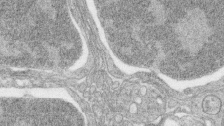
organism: Zebrafish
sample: synaptic ribbons in rod cells and cone cells